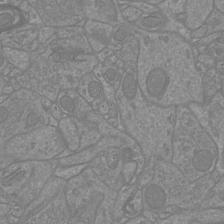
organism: Mouse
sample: Cortical neurons